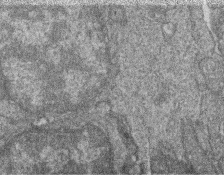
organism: Zebrafish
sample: Cilia; retinal pigment epithelium